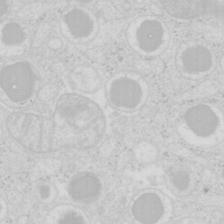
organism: Mouse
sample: Pancreas